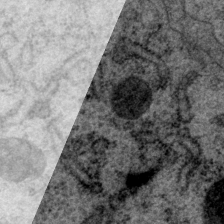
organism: P. pacificus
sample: Pharynx